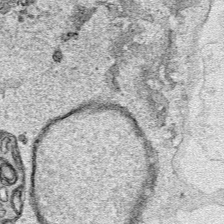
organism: Human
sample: Mitochondria in HCT116 cells